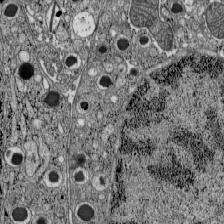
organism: C57BL Mouse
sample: Pancreatic islet